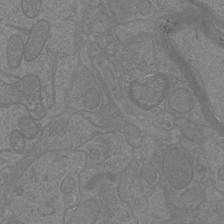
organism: Mouse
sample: Cortical neurons